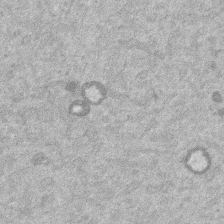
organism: Mouse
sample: Dividing mouse embryo 1 cell stage